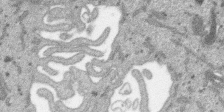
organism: Human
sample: Lung epithelial cells infected with SARS-CoV-2